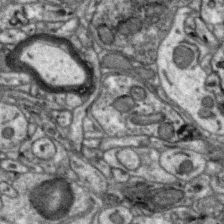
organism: Zebra finch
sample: Brain